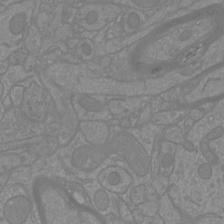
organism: Mouse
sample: Cortical neurons